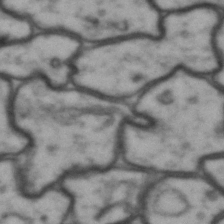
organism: Drosophila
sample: Brain